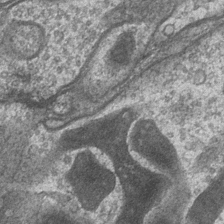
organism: Drosophila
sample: Optic medulla